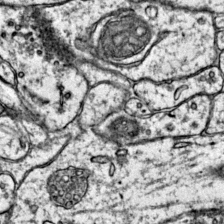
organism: Mouse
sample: Primary visual cortex